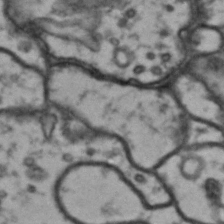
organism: Drosophila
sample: Brain